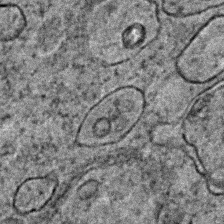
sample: Trachea